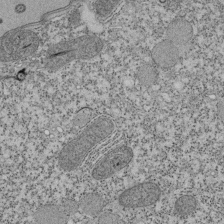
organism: Tetrahymena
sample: Cilia in tetrahymena